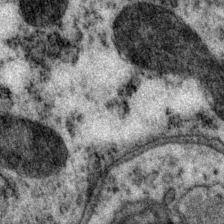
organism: P. pacificus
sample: Pharynx